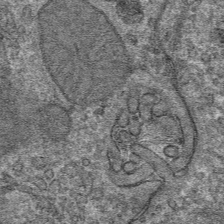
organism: Mouse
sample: Mouse hepatocytes